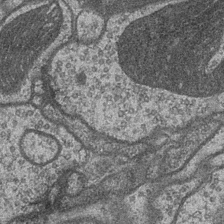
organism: Drosophila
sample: Optic medulla